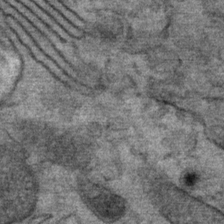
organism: Mouse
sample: Mouse Salivary gland